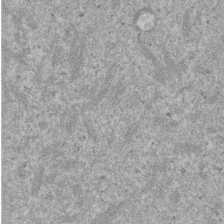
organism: Mouse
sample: Dividing mouse embryo 1 cell stage